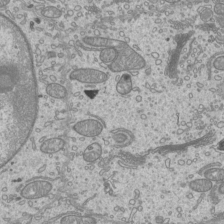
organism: Mouse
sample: Cilia; mouse epididymis